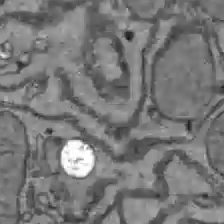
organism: C57BL Mouse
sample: Liver